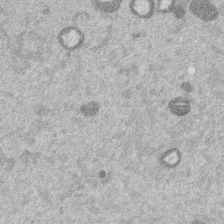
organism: Mouse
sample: Dividing mouse embryo 1 cell stage